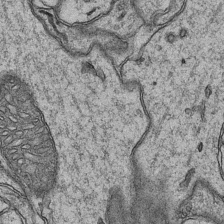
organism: Mouse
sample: CA1 Hippocampus